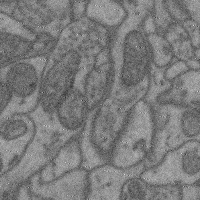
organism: Mouse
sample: Cerebral cortex